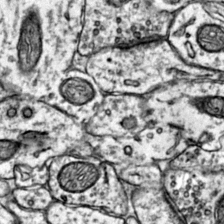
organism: Mouse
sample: Primary visual cortex